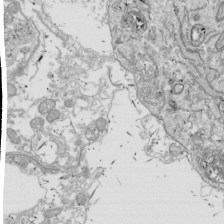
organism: Drosophila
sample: Cell division; meiosis; drosophila spermatocytes